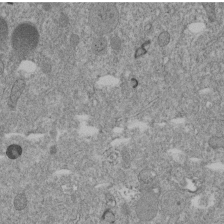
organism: C. elegans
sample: C. elegans embryo early stage